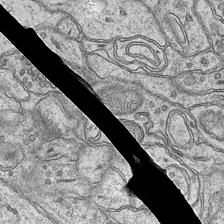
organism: Mouse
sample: CA1 Hippocampus